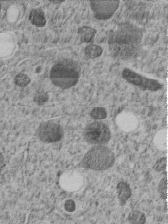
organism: C. elegans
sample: C. elegans embryo early stage